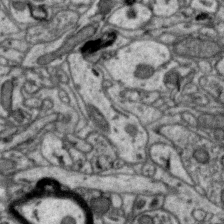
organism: Zebra finch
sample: Brain